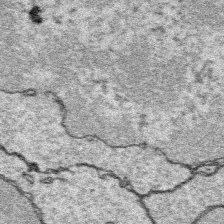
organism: Platynereis dumerilii